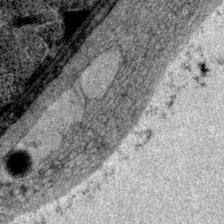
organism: P. pacificus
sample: Pharynx